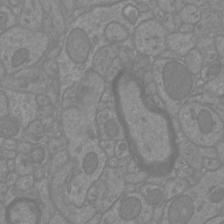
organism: Mouse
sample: Cortical neurons